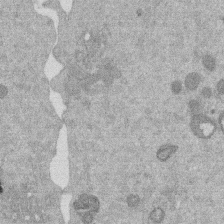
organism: Mouse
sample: Dividing mouse embryo 1 cell stage